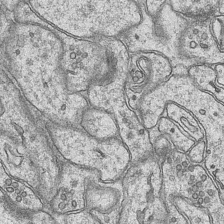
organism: Mouse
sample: CA1 Hippocampus